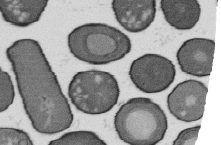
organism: B. subtilis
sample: Bacterial spore